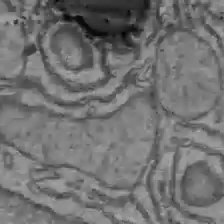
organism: C57BL Mouse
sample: Liver